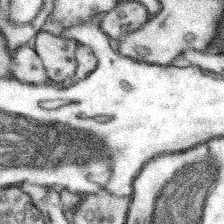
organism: Mouse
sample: Somatosensory cortex neuropil